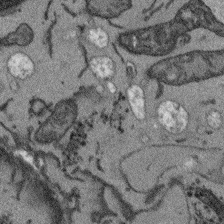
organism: Arabidopsis thaliana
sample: Root tip